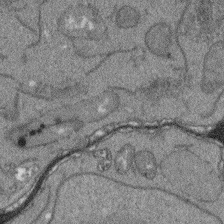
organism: Arabidopsis thaliana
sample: Root tip